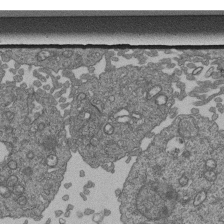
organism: Human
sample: Retinal organoid Rod and Cone cells